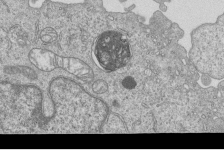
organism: Human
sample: MDA-MB-231 cells